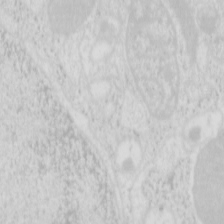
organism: Mouse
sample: Pancreas